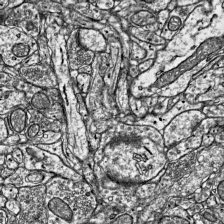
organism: Mouse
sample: Visual Cortex